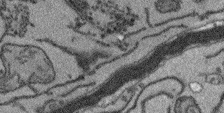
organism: Arabidopsis thaliana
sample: Root tip